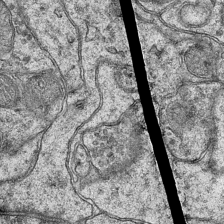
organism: Mouse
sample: CA1 Hippocampus